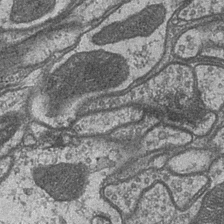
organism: Drosophila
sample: Optic medulla